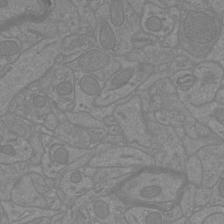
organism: Mouse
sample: Cortical neurons